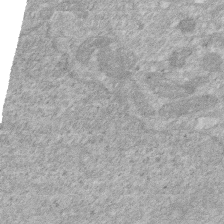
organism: Human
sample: HIV infected U937 cells